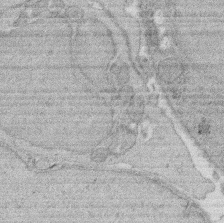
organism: Rat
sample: Salivary granule